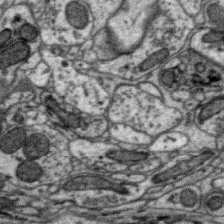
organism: Zebra finch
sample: Brain